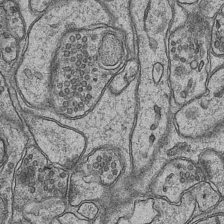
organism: Mouse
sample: CA1 Hippocampus